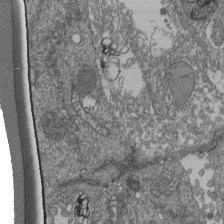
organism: Human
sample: Retinal organoid Rod and Cone cells